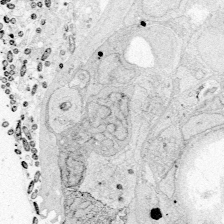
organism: Zebrafish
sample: Whole-Brain